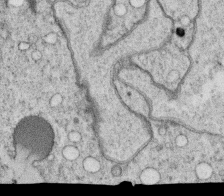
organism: C. elegans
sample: C. elegans oocyte; sperm cells